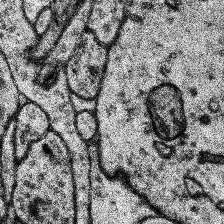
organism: Human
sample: Temporal Lobe